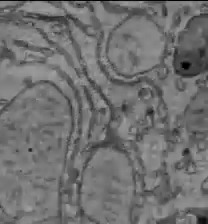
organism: C57BL Mouse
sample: Liver